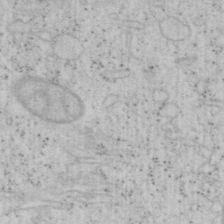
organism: Human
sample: HeLa cells